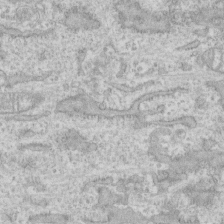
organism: Human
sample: CRL-1474